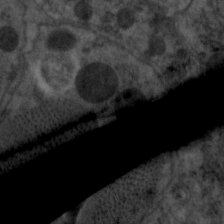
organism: C. elegans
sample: Pharynx